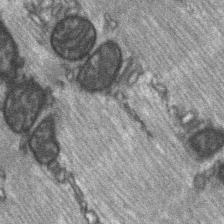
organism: C57BL Mouse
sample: Soleus